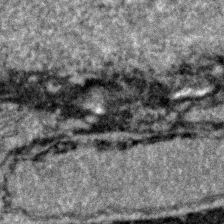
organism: Zebrafish